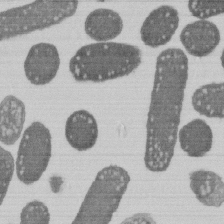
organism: E. coli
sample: Bacterial nucleoid